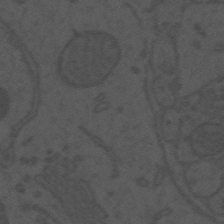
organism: Mouse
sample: Suprachiasmatic nucleus